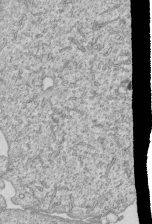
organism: Human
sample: MDA-MB-231 cells